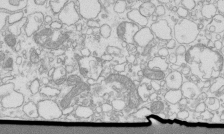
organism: Mouse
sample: Macrophages